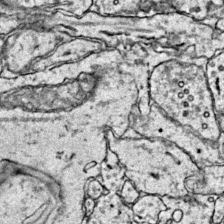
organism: Mouse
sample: Primary visual cortex